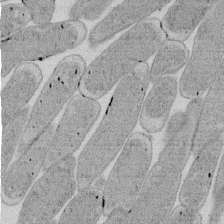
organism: E. coli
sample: Bacterial nucleoid